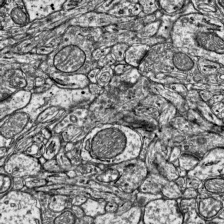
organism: Mouse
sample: Visual Cortex